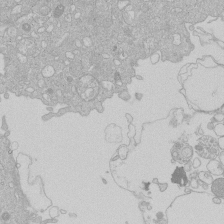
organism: Human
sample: Macrophage cells